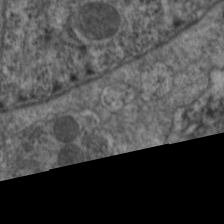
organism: C. elegans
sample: Pharynx